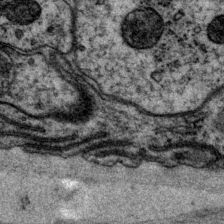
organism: P. pacificus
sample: Pharynx